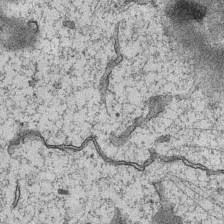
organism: Mouse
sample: CA1 Hippocampus